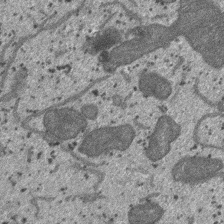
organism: Human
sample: Lung epithelial cells infected with SARS-CoV-2